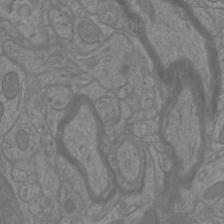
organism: Mouse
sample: Cortical neurons